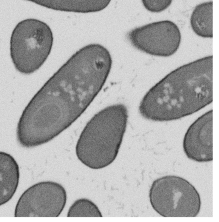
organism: B. subtilis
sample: Bacterial spore